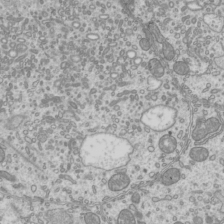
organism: Mouse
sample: Cilia; mouse epididymis